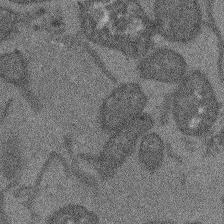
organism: Arabidopsis thaliana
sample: Root tip